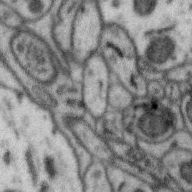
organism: Zebra finch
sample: Brain